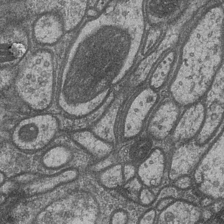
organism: Drosophila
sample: Optic medulla